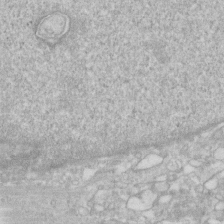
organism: Human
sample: Fibroblast cells